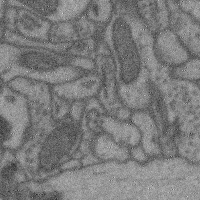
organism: Mouse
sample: Cerebral cortex